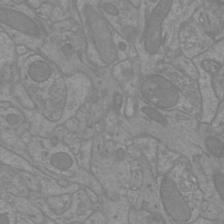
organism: Mouse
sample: Cortical neurons